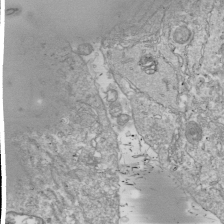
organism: Drosophila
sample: Cell division; meiosis; drosophila spermatocytes